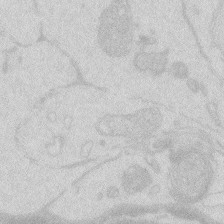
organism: Zebrafish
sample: Macrophage